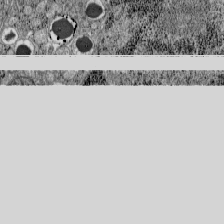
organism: C57BL Mouse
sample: Pancreatic islet